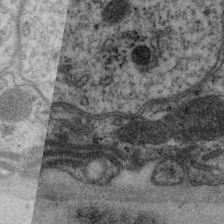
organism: P. pacificus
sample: Pharynx